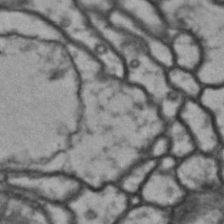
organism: Drosophila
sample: Brain